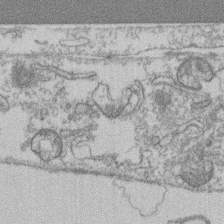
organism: Mouse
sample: T cell stromal cell synapse